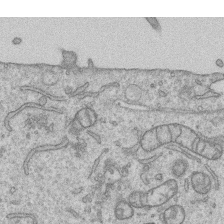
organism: Human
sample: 1205lu cells